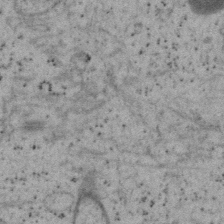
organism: Human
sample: HeLa cells